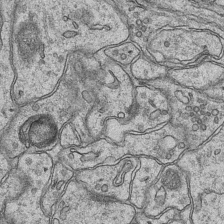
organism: Mouse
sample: CA1 Hippocampus